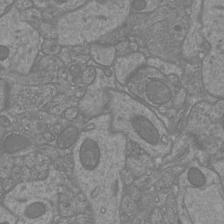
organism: Mouse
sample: Cortical neurons